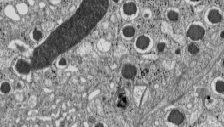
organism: C57BL Mouse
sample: Pancreatic islet